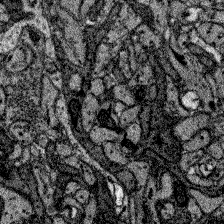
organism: Zebrafish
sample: Larval olfactory bulb